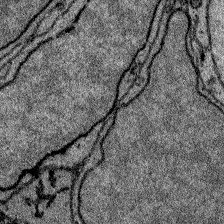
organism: Zebrafish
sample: Larval olfactory bulb